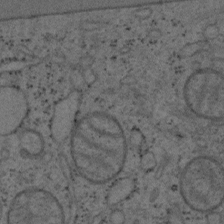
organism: Human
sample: HeLa cells